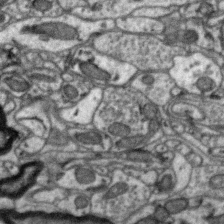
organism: Zebra finch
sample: Brain